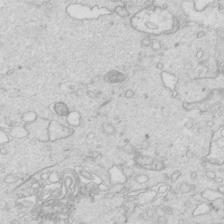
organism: Mouse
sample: Multiciliated cells